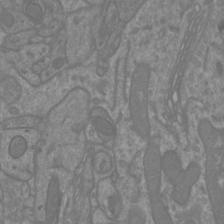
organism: Mouse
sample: Cortical neurons